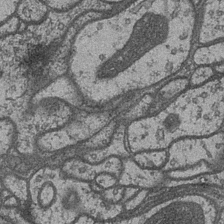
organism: Drosophila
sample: Optic medulla